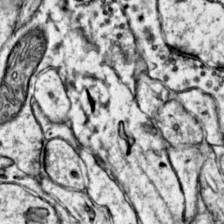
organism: Mouse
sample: Primary visual cortex